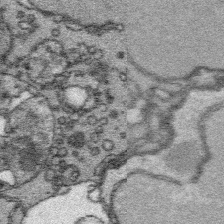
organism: Platynereis dumerilii